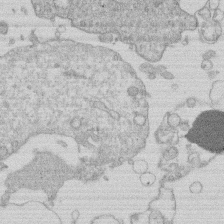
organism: Human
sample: Macrophage cells